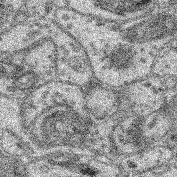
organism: Mouse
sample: Retina